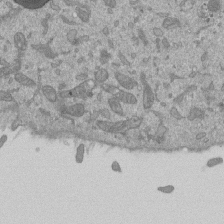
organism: Mouse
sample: ED-1 cell nuclei; centrioles